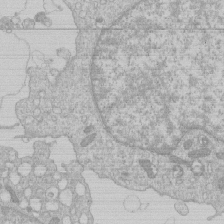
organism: Human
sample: Macrophage cells